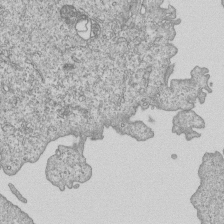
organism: Human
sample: MDA-MB-231 cells